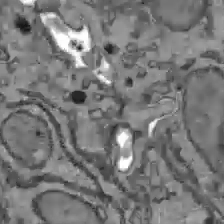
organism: C57BL Mouse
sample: Liver